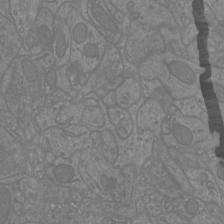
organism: Mouse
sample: Cortical neurons